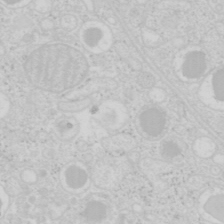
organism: Mouse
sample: Pancreas